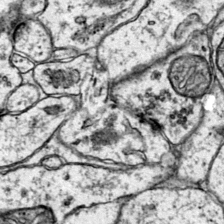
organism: Mouse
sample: Primary visual cortex